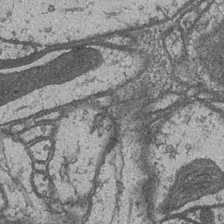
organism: Drosophila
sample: Optic medulla